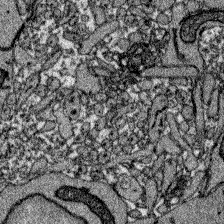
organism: Zebrafish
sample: Larval olfactory bulb